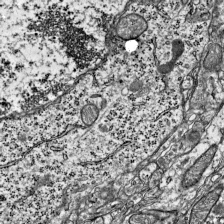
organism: Mouse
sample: Visual Cortex